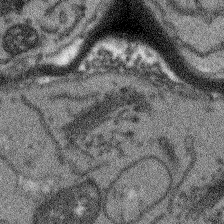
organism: Arabidopsis thaliana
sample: Root tip